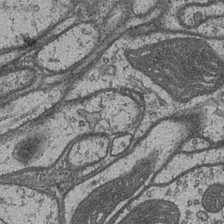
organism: Drosophila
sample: Optic medulla